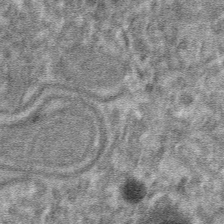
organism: Mouse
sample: Mouse hepatocytes